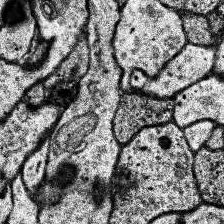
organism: Human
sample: Temporal Lobe